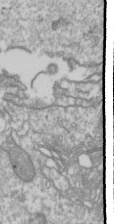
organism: Drosophila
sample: Cell division; meiosis; drosophila spermatocytes